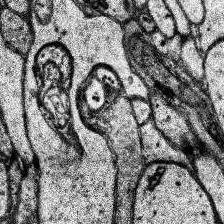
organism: Human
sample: Temporal Lobe